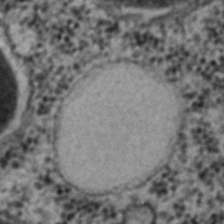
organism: C. elegans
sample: C. elegans embryo